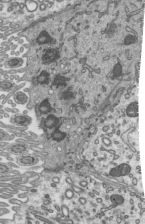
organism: Mouse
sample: Mouse epididymis efferent ductule cilia